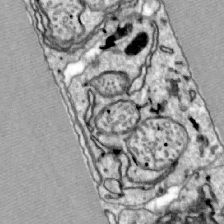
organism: Zebrafish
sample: Actinotrichia fibers